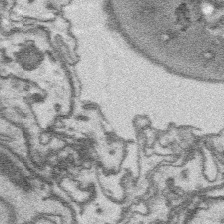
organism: Platynereis dumerilii